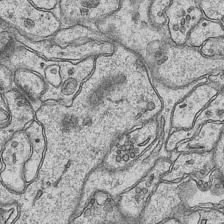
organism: Mouse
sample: CA1 Hippocampus